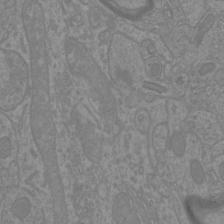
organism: Mouse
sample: Cortical neurons